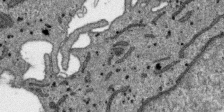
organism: Human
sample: Lung epithelial cells, uninfected (mock) control